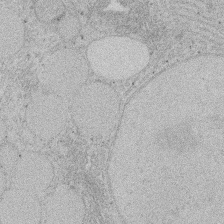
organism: Rat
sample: Salivary granule